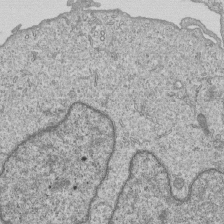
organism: Human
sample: MDA-MB-231 cells